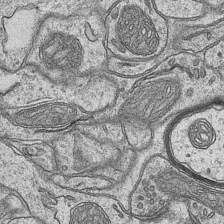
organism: Mouse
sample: CA1 Hippocampus